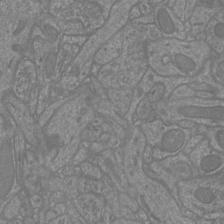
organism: Mouse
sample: Cortical neurons